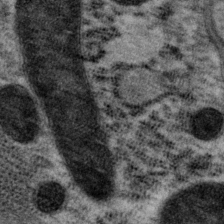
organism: P. pacificus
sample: Pharynx